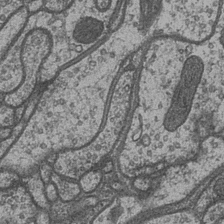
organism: Drosophila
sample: Optic medulla